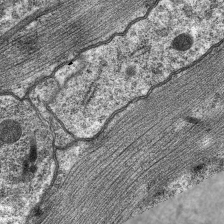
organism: C. elegans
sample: Pharynx